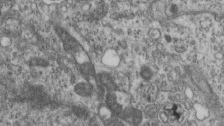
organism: Mouse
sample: Centriole in ependymal cells